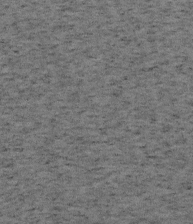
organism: Mouse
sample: OT-I killer T cells with ID8 ovarian cancer cells